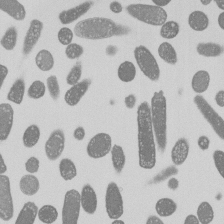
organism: E. coli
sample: Bacterial nucleoid